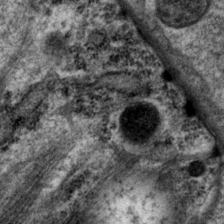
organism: P. pacificus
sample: Pharynx